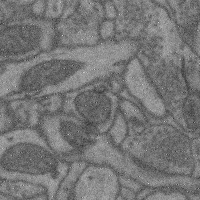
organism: Mouse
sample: Cerebral cortex